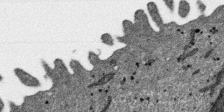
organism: Human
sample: Lung epithelial cells, uninfected (mock) control